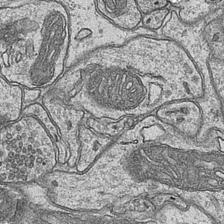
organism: Mouse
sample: CA1 Hippocampus